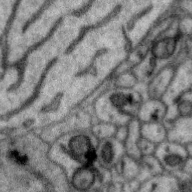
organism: Zebra finch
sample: Brain